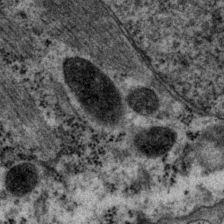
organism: P. pacificus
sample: Pharynx